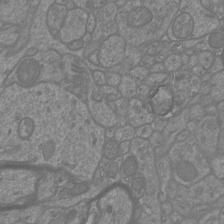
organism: Mouse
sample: Cortical neurons